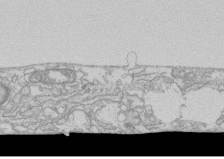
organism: Human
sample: CRL-1474